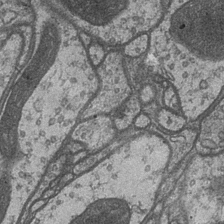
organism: Drosophila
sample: Optic medulla